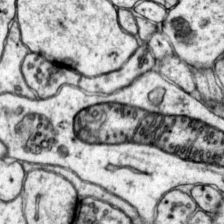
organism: Mouse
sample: Primary visual cortex